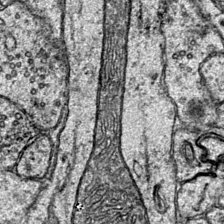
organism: Mouse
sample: Primary visual cortex